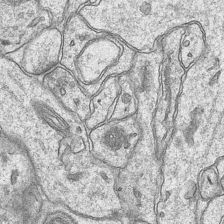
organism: Mouse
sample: CA1 Hippocampus